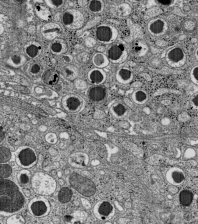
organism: C57BL Mouse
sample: Pancreatic islet